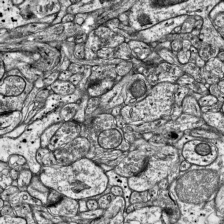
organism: Mouse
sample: Visual Cortex